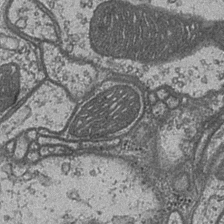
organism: Drosophila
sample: Optic medulla